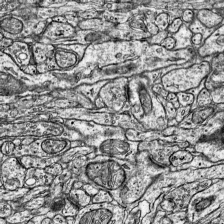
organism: Mouse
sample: Visual Cortex